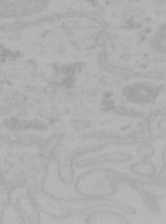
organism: Mouse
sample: Choroid plexus